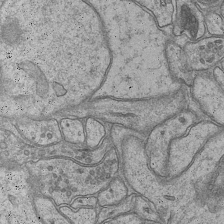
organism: Mouse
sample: CA1 Hippocampus